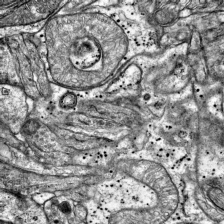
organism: Mouse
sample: Visual Cortex